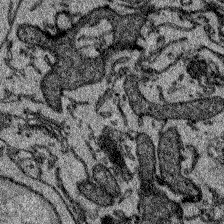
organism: Zebrafish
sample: Larval olfactory bulb